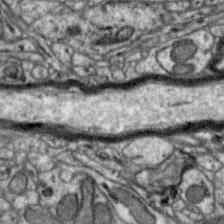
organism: Zebra finch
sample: Brain